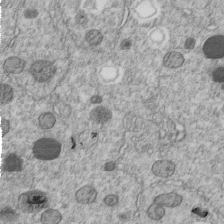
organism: C. elegans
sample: C. elegans embryo early stage